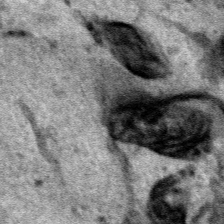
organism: Human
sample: Mitochondria in HCT116 cells